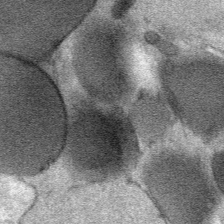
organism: Mouse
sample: Mouse Salivary gland